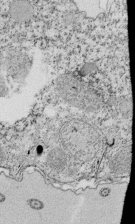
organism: Tetrahymena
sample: Cilia in tetrahymena